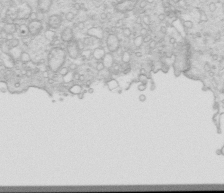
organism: Mouse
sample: Multiciliated cells